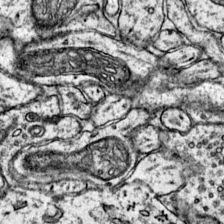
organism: Mouse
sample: Primary visual cortex